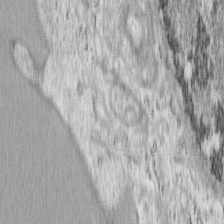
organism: Human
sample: HeLa cells